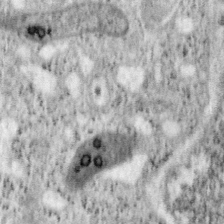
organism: Mouse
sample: OT-I killer T cells with ID8 ovarian cancer cells